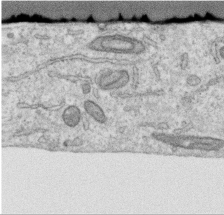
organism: Human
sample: Centriole in RPE cells